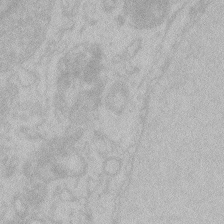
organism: Zebrafish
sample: Macrophage infected with Toxoplasma gondii